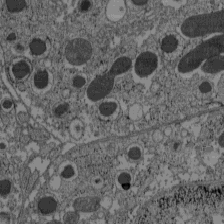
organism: C57BL Mouse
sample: Pancreatic islet